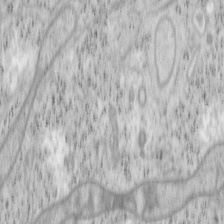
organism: Human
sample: HeLa cells